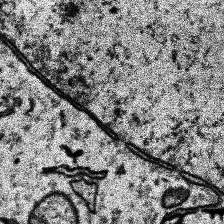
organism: Human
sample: Temporal Lobe